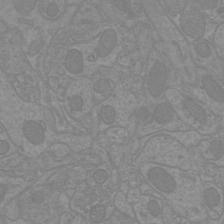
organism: Mouse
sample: Cortical neurons